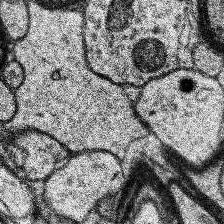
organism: Human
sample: Temporal Lobe